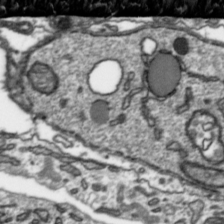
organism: Toxoplasma gondii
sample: Parasites in a vacuole inside a host cell